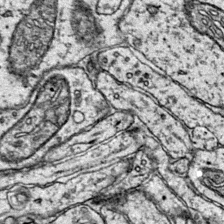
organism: Mouse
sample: Primary visual cortex